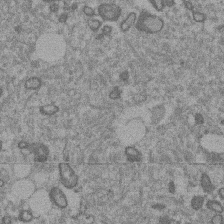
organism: Mouse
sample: Dividing mouse embryo 1 cell stage